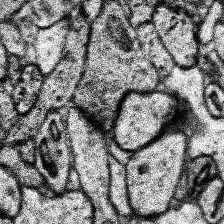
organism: Human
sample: Temporal Lobe